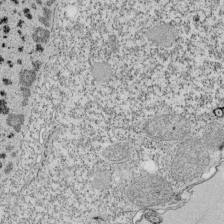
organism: Tetrahymena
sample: Cilia in tetrahymena